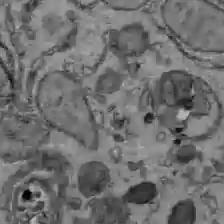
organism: C57BL Mouse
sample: Liver